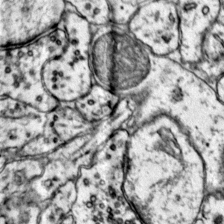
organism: Mouse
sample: Primary visual cortex